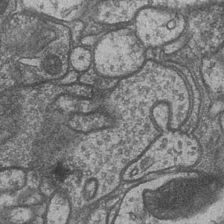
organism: Drosophila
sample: Optic medulla